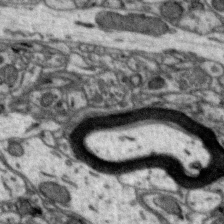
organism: Zebra finch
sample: Brain